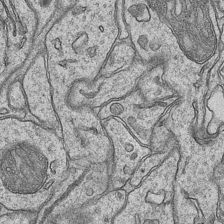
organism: Mouse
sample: CA1 Hippocampus